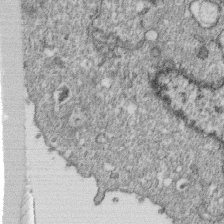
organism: African green monkey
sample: Vero E6 cells infected with SARS-CoV-2